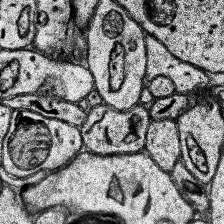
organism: Human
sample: Temporal Lobe